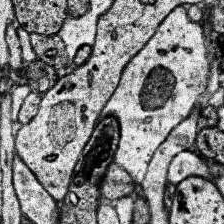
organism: Human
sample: Temporal Lobe